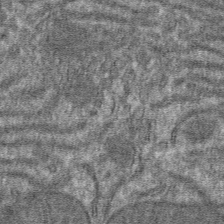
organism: Mouse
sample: Mouse hepatocytes